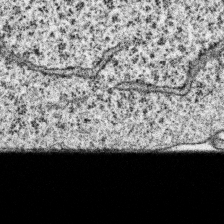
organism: Human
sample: HeLa cells